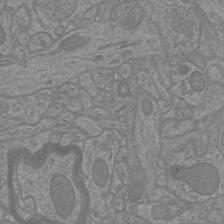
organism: Mouse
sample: Cortical neurons